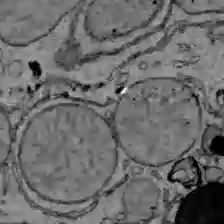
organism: C57BL Mouse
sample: Liver